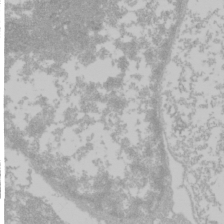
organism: Mouse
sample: Cancer cell death in ED-1 cells